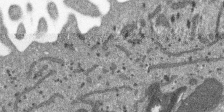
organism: Human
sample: Lung epithelial cells infected with SARS-CoV-2